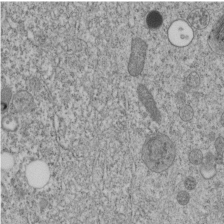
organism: C. elegans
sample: C. elegans embryo early stage